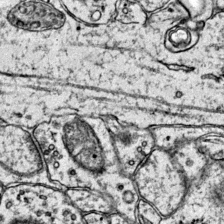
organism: Mouse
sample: Primary visual cortex